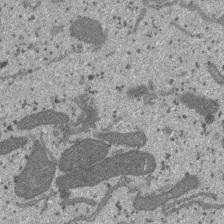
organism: Human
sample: Lung epithelial cells infected with SARS-CoV-2